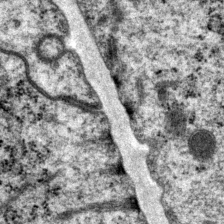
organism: P. pacificus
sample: Pharynx